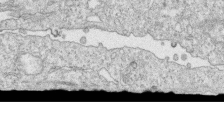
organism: Human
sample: HeLa cell HIV synapse